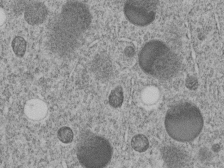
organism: C. elegans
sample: C. elegans embryo early stage